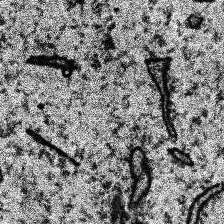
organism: Human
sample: Temporal Lobe